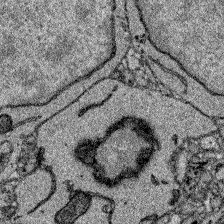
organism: Zebrafish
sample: Larval olfactory bulb